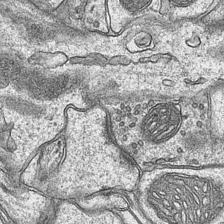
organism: Mouse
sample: CA1 Hippocampus